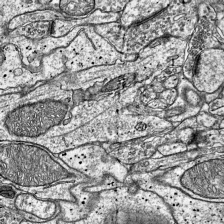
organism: Mouse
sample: Visual Cortex